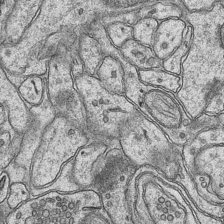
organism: Mouse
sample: CA1 Hippocampus